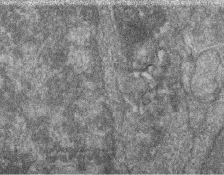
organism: Zebrafish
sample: Cilia; retinal pigment epithelium